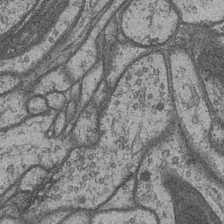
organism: Drosophila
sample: Optic medulla